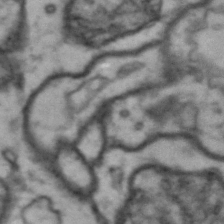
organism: Drosophila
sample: Brain